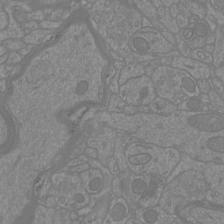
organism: Mouse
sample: Cortical neurons